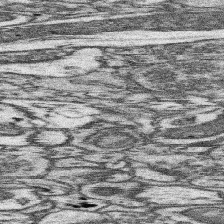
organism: Mouse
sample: Somatosensory cortex neuropil